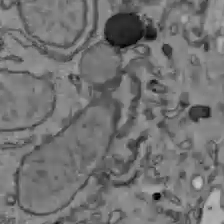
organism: C57BL Mouse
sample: Liver